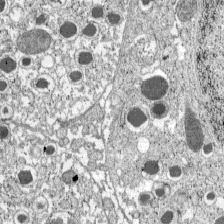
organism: C57BL Mouse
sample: Pancreatic islet